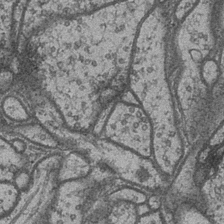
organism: Drosophila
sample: Optic medulla